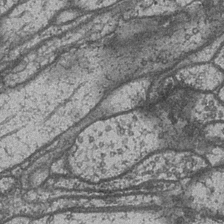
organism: Drosophila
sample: Optic medulla